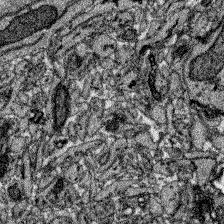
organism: Zebrafish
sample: Larval olfactory bulb